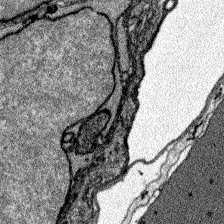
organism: Zebrafish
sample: Larval olfactory bulb